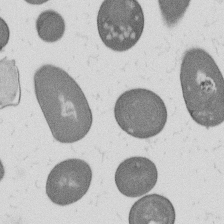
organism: B. subtilis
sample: Bacterial spore